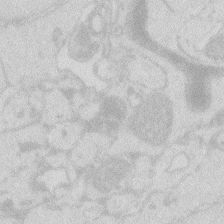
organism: Zebrafish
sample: Macrophage